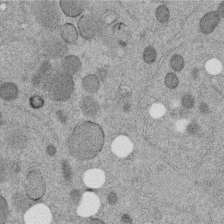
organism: C. elegans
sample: C. elegans embryo early stage